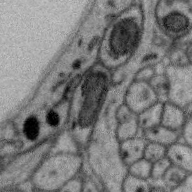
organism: Zebra finch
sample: Brain